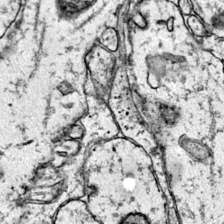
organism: Mouse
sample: Primary visual cortex